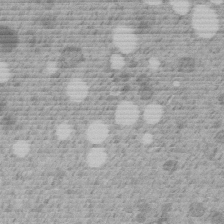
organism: C. elegans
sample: C. elegans embryo early stage